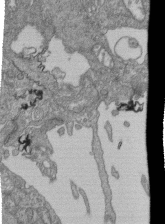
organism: Human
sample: Retinal organoid Rod and Cone cells